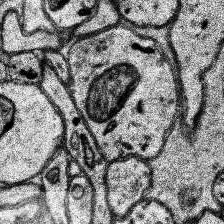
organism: Human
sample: Temporal Lobe